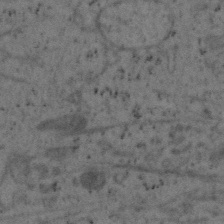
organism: Human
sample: HeLa cells